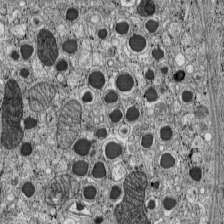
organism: C57BL Mouse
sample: Pancreatic islet